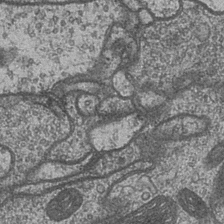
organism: Drosophila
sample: Optic medulla